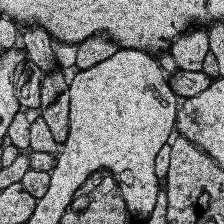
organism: Human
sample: Temporal Lobe